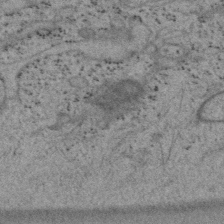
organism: Human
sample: HeLa cells